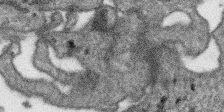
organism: Human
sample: Lung epithelial cells infected with SARS-CoV-2